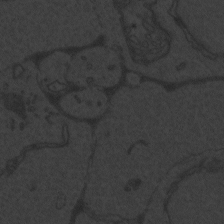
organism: Zebrafish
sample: Macrophage infected with Toxoplasma gondii